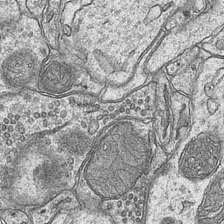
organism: Mouse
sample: CA1 Hippocampus